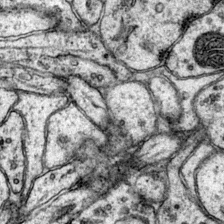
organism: Mouse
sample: Primary visual cortex